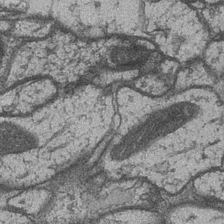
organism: Drosophila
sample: Optic medulla